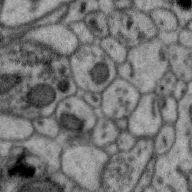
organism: Zebra finch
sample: Brain